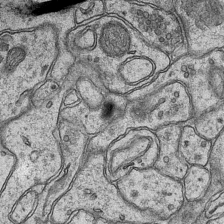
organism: Mouse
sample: CA1 Hippocampus